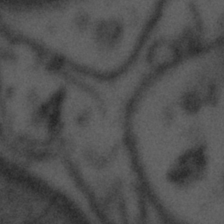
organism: Tuwongella immobilis